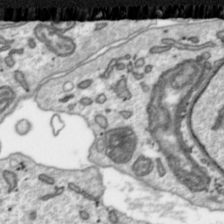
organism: Toxoplasma gondii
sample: Parasites in a vacuole inside a host cell